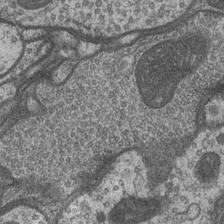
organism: Drosophila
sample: Optic medulla